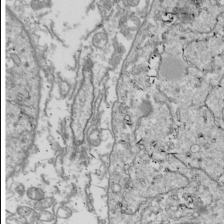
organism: Drosophila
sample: Cell division; meiosis; drosophila spermatocytes